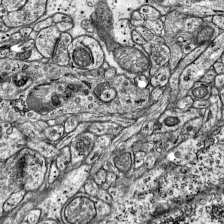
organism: Mouse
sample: Visual Cortex